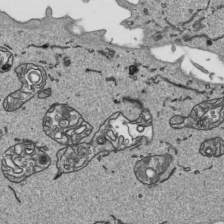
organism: Human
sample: Mitochondria in HCT116 cells